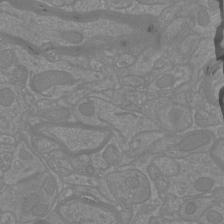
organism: Mouse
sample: Cortical neurons